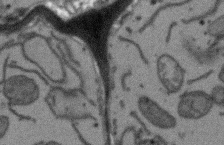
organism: Arabidopsis thaliana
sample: Root tip